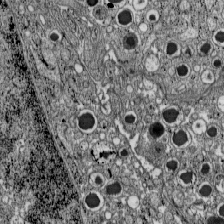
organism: C57BL Mouse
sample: Pancreatic islet